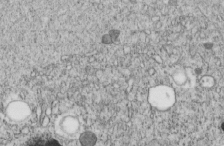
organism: C. elegans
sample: C. elegans embryo early stage